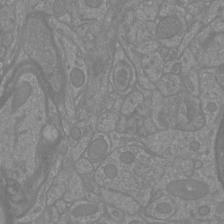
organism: Mouse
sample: Cortical neurons